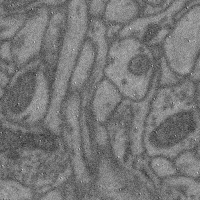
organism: Mouse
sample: Cerebral cortex